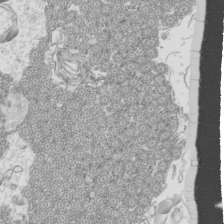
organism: Mouse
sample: Cilia; mouse epididymis